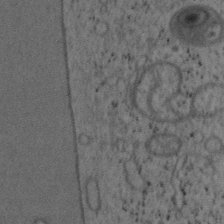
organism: Human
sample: HeLa cells